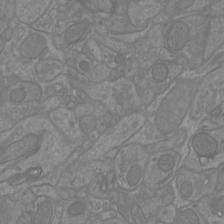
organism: Mouse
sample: Cortical neurons